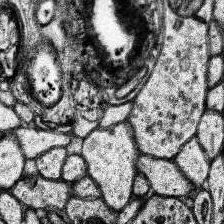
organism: Human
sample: Temporal Lobe